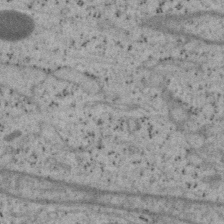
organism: Human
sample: HeLa cells